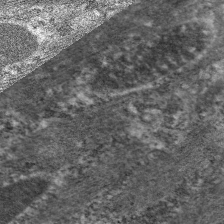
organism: C. elegans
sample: Pharynx